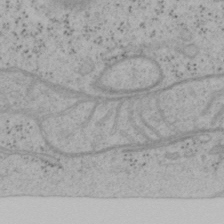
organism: Human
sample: HeLa cells